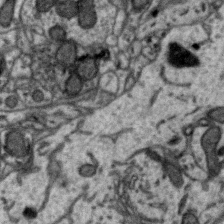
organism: Zebra finch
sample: Brain